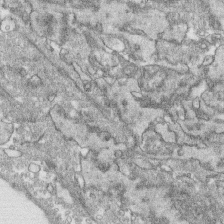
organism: Human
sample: CRL-1474